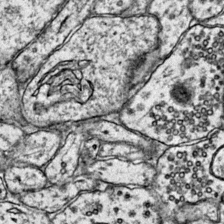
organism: Mouse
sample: Primary visual cortex